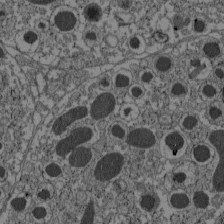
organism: C57BL Mouse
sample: Pancreatic islet